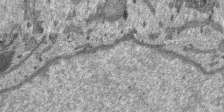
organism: Human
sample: Lung epithelial cells infected with SARS-CoV-2